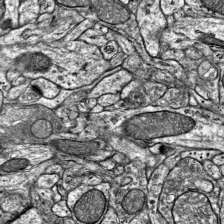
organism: Mouse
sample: Visual Cortex